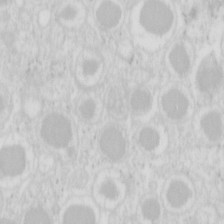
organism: Mouse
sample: Pancreas